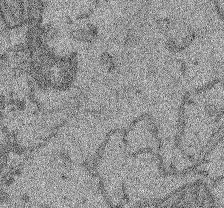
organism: Human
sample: HeLa cells